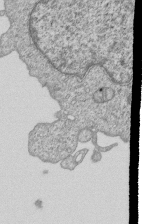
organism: Human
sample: MDA-MB-231 cells